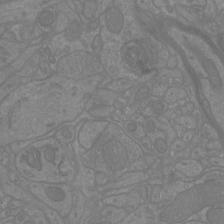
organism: Mouse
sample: Cortical neurons